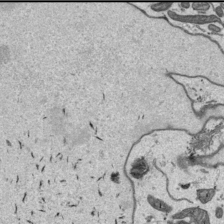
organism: Human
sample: Mitochondria in HCT116 cells